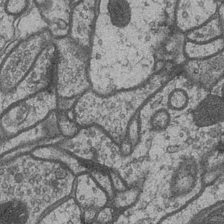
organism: Drosophila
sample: Optic medulla